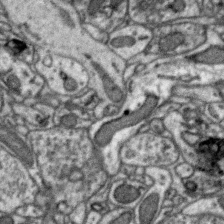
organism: Zebra finch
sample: Brain